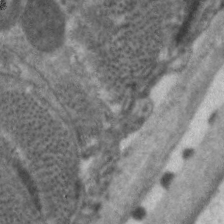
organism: C. elegans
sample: Pharynx